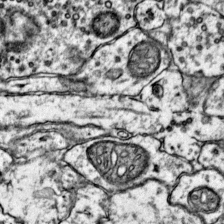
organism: Mouse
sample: Primary visual cortex